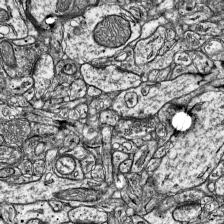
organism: Mouse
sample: Visual Cortex